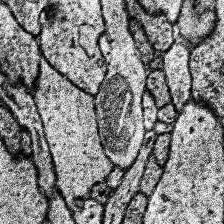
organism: Human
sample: Temporal Lobe